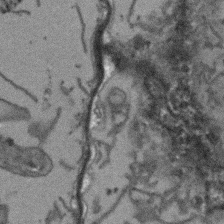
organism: Arabidopsis thaliana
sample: Root tip